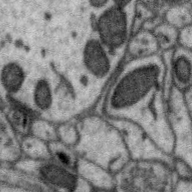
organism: Zebra finch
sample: Brain